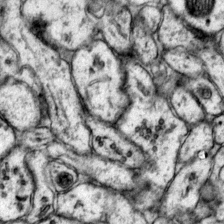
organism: Mouse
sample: Primary visual cortex